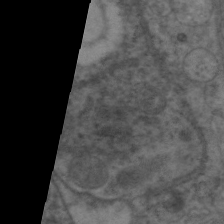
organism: C. elegans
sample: Pharynx